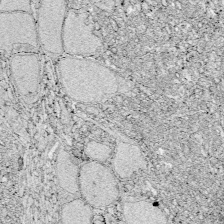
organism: Zebrafish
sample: Whole-Brain